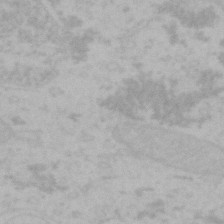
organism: Mouse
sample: Choroid plexus